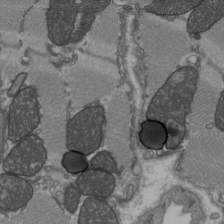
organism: C57BL Mouse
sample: Heart